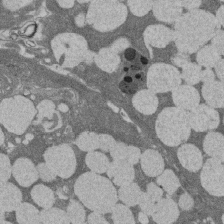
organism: Rat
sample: Salivary granule